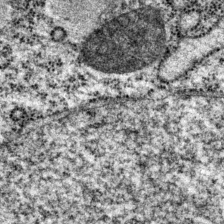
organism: P. pacificus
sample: Pharynx